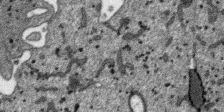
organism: Human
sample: Lung epithelial cells infected with SARS-CoV-2